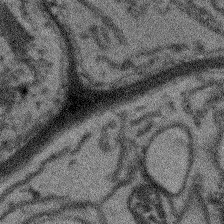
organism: Arabidopsis thaliana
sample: Root tip